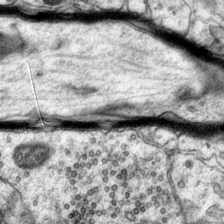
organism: Mouse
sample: Primary visual cortex